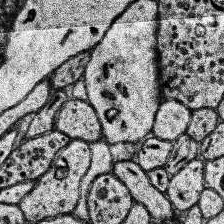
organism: Human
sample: Temporal Lobe